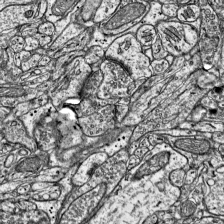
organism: Mouse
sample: Visual Cortex